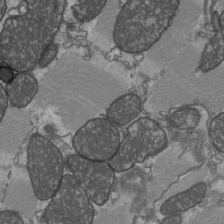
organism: C57BL Mouse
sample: Heart